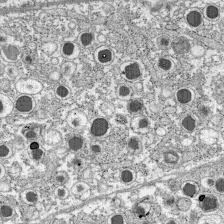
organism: C57BL Mouse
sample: Pancreatic islet